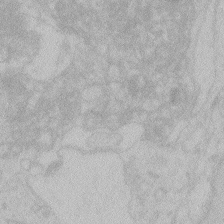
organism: Zebrafish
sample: Macrophage infected with Toxoplasma gondii